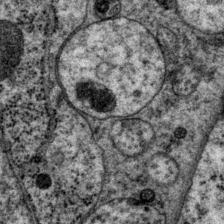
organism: P. pacificus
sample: Pharynx